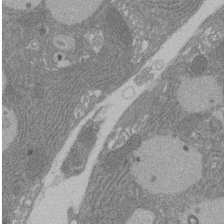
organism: Rat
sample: Salivary granule